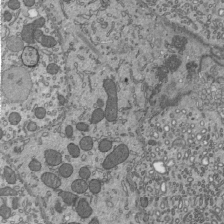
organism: Mouse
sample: Mouse epididymis efferent ductule cilia